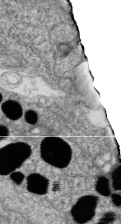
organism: Zebrafish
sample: Cilia; retinal pigment epithelium